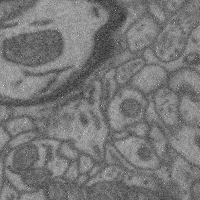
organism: Mouse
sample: Cerebral cortex